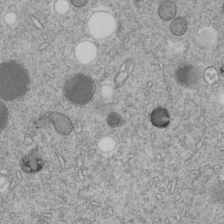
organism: C. elegans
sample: C. elegans embryo early stage